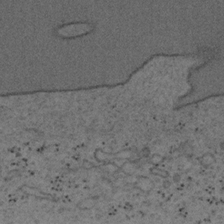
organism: Human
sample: HeLa cells